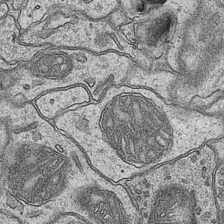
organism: Mouse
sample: CA1 Hippocampus